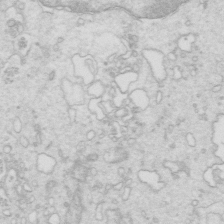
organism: Mouse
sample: Multiciliated cells